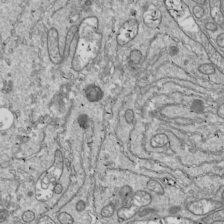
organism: Drosophila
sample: Cell division; meiosis; drosophila spermatocytes